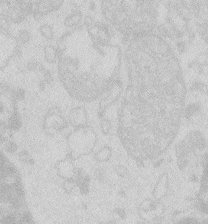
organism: Zebrafish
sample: Macrophage